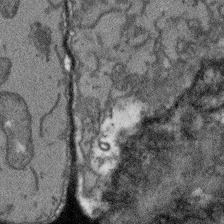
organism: Arabidopsis thaliana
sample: Root tip